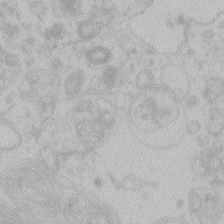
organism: Zebrafish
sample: Macrophage infected with Toxoplasma gondii